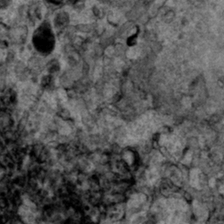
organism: Human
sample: Mitochondria in HCT116 cells